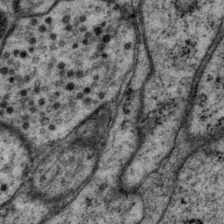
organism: P. pacificus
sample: Pharynx